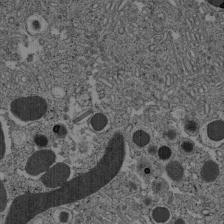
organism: C57BL Mouse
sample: Pancreatic islet